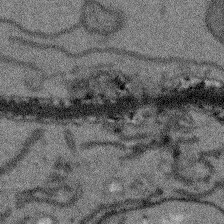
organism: Arabidopsis thaliana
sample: Root tip